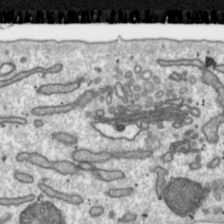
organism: Toxoplasma gondii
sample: Parasites in a vacuole inside a host cell